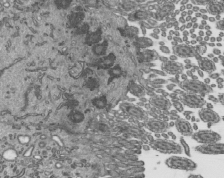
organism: Mouse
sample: Mouse epididymis efferent ductule cilia